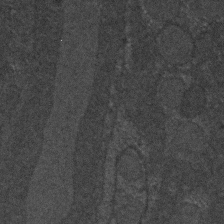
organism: C. elegans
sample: C. elegans embryo